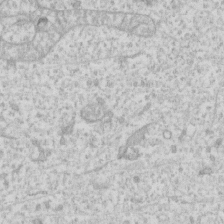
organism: Human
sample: Fibroblast cells